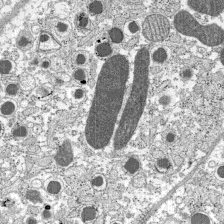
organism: C57BL Mouse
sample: Pancreatic islet